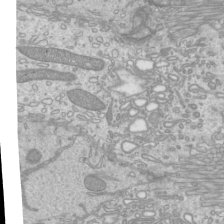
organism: Mouse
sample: Cilia; mouse epididymis